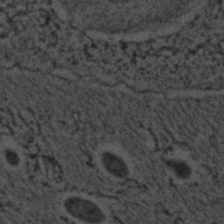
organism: C. elegans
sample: C. elegans embryo